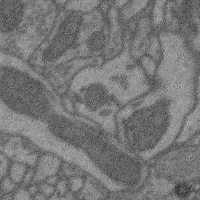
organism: Mouse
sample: Cerebral cortex